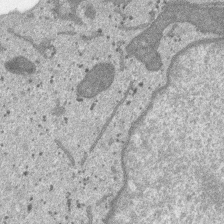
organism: Human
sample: Lung epithelial cells infected with SARS-CoV-2